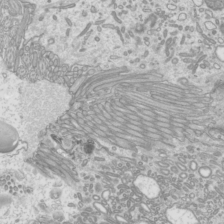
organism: Mouse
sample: Cilia; mouse epididymis